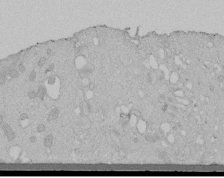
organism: Human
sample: Melanocyte Keratinocyte synapse skin construct